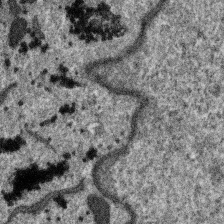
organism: Human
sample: Lung epithelial cells infected with SARS-CoV-2